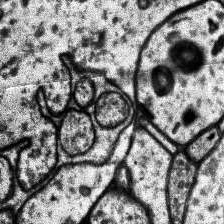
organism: Human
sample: Temporal Lobe